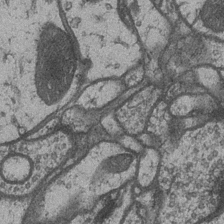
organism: Drosophila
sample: Optic medulla